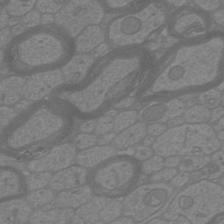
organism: Mouse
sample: Cortical neurons